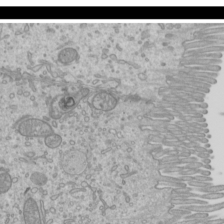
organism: Mouse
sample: Cilia; mouse epididymis